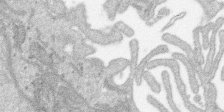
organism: Human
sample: Lung epithelial cells infected with SARS-CoV-2